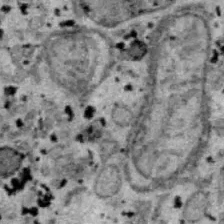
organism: Mouse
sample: Liver from an obese (ob/ob) mouse